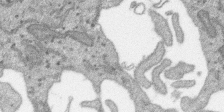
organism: Human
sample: Lung epithelial cells infected with SARS-CoV-2